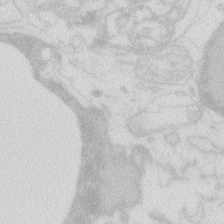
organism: Zebrafish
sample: Macrophage